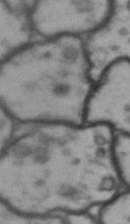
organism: Drosophila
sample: Brain